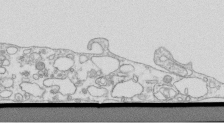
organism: Mouse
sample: Macrophages